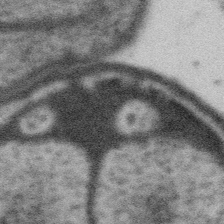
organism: Gemmata obscuriglobus